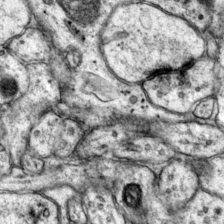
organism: Mouse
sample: Primary visual cortex